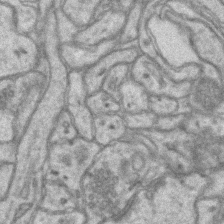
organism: Mouse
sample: CA1 Hippocampus